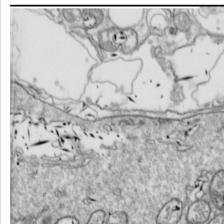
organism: Drosophila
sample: Cell division; meiosis; drosophila spermatocytes